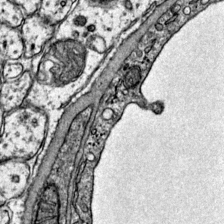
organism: Mouse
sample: Primary visual cortex